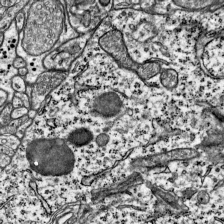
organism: Mouse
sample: Visual Cortex